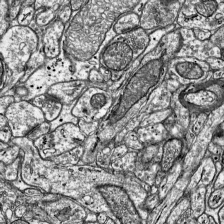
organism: Mouse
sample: Visual Cortex